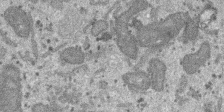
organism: Human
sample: Lung epithelial cells infected with SARS-CoV-2